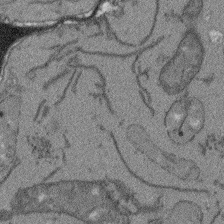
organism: Arabidopsis thaliana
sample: Root tip